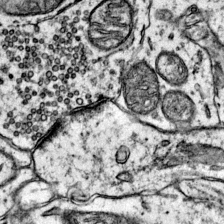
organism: Mouse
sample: Primary visual cortex